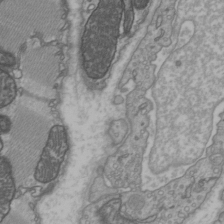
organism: C57BL Mouse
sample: Heart